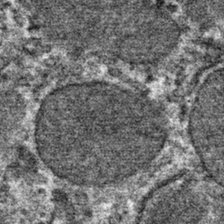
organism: Mouse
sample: Mouse hepatocytes